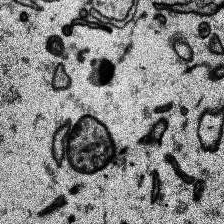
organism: Human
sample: Temporal Lobe